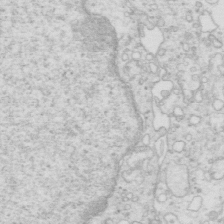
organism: Mouse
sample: Multiciliated cells